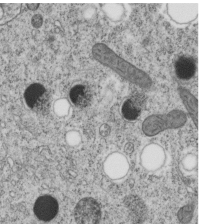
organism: C. elegans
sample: C. elegans embryo early stage